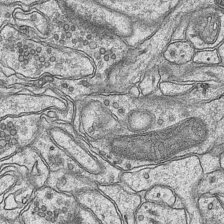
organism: Mouse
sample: CA1 Hippocampus